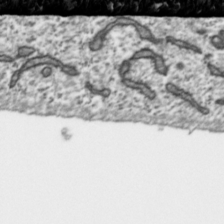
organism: Toxoplasma gondii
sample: Parasites in a vacuole inside a host cell